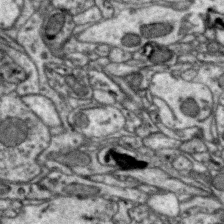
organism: Zebra finch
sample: Brain